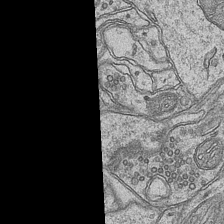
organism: Mouse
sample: CA1 Hippocampus